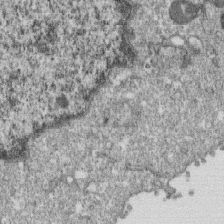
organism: African green monkey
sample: Vero E6 cells infected with SARS-CoV-2